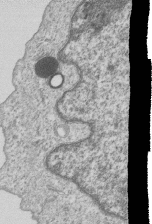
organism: Human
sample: MDA-MB-231 cells